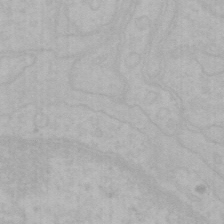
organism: Mouse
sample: Choroid plexus